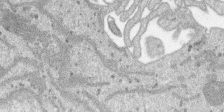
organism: Human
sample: Lung epithelial cells infected with SARS-CoV-2